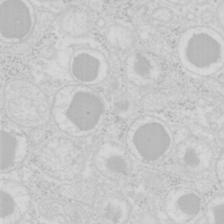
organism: Mouse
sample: Pancreas